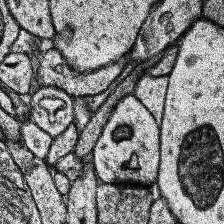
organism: Human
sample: Temporal Lobe